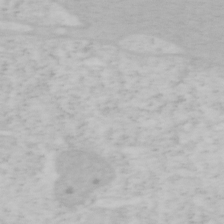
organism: Mouse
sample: OT-I killer T cells with ID8 ovarian cancer cells